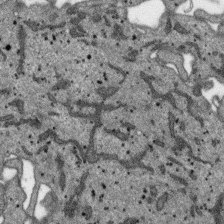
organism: Human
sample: Lung epithelial cells, uninfected (mock) control